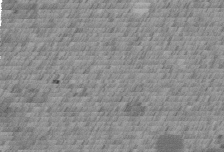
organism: C. elegans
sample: C. elegans embryo early stage